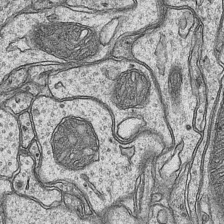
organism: Mouse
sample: CA1 Hippocampus